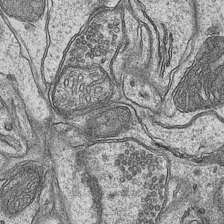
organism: Mouse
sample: CA1 Hippocampus